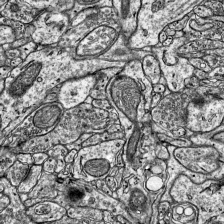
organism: Mouse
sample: Visual Cortex